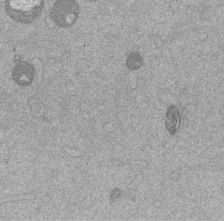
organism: Mouse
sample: Dividing mouse embryo 1 cell stage